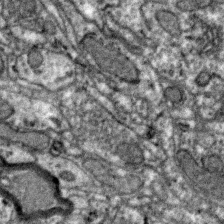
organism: Zebra finch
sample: Brain